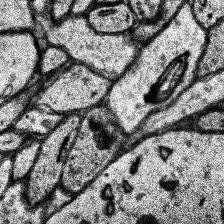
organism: Human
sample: Temporal Lobe